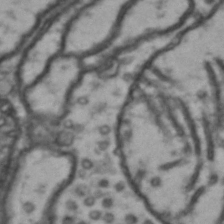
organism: Drosophila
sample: Brain